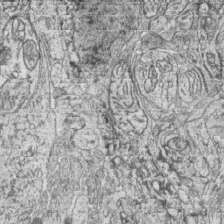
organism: Zebrafish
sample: synaptic ribbons in rod cells and cone cells